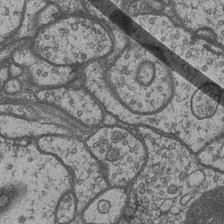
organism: Drosophila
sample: Optic medulla